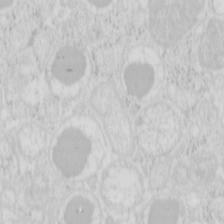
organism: Mouse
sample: Pancreas